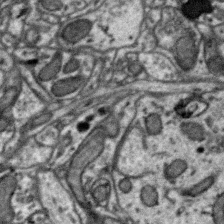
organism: Zebra finch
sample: Brain